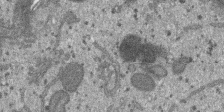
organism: Human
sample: Lung epithelial cells infected with SARS-CoV-2